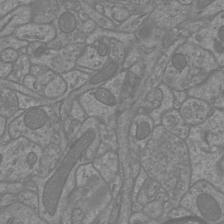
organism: Mouse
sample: Cortical neurons